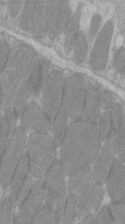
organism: C57BL Mouse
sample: Tibialis anterior muscle cell